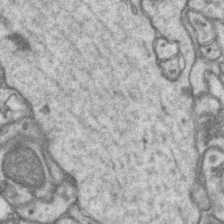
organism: Mouse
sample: CA1 Hippocampus